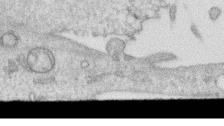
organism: Human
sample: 1205lu cells